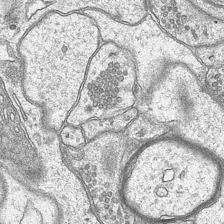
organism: Mouse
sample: CA1 Hippocampus